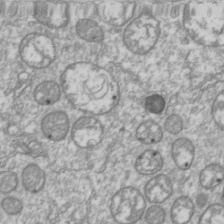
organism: Drosophila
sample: Cell division; meiosis; drosophila spermatocytes